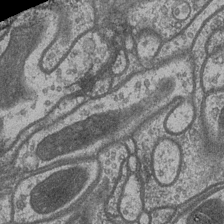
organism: Drosophila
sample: Optic medulla